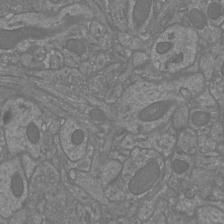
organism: Mouse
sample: Cortical neurons